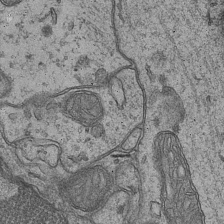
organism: Mouse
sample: CA1 Hippocampus